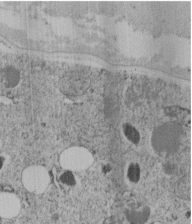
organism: C. elegans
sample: C. elegans embryo early stage